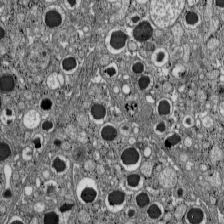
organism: C57BL Mouse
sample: Pancreatic islet